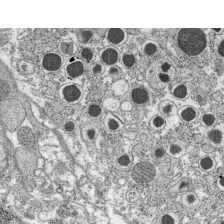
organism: C57BL Mouse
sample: Pancreatic islet